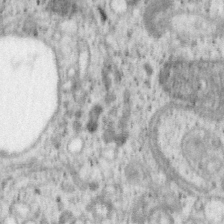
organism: Mouse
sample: OT-I killer T cells with ID8 ovarian cancer cells